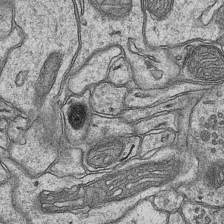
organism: Mouse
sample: CA1 Hippocampus